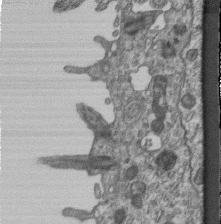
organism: Mouse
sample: Centriole in ependymal cells